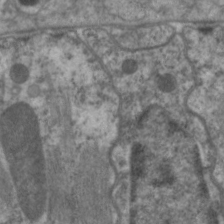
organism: C. elegans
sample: Pharynx